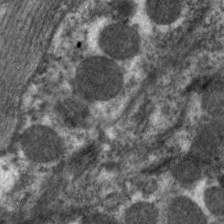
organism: C. elegans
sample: Pharynx